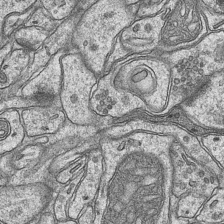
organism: Mouse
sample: CA1 Hippocampus